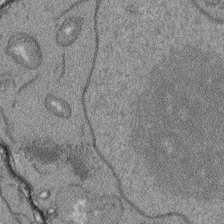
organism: Arabidopsis thaliana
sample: Root tip